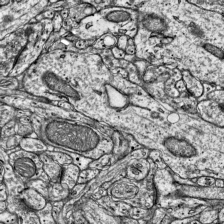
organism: Mouse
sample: Visual Cortex